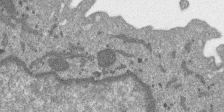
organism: Human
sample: Lung epithelial cells infected with SARS-CoV-2